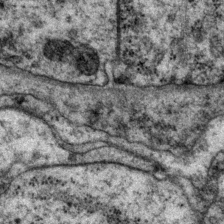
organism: P. pacificus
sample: Pharynx